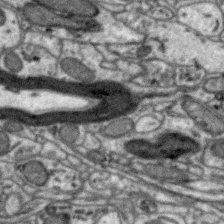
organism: Zebra finch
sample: Brain